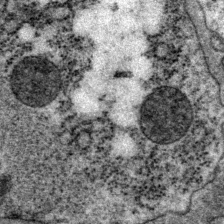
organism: P. pacificus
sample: Pharynx